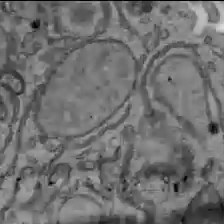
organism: C57BL Mouse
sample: Liver